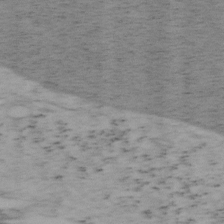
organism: Mouse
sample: OT-I killer T cells with ID8 ovarian cancer cells